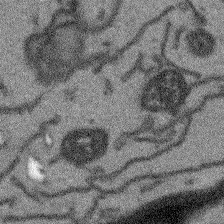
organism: Arabidopsis thaliana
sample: Root tip